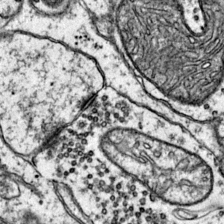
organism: Mouse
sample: Primary visual cortex